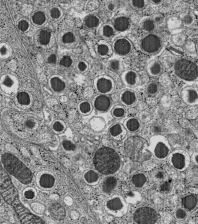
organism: C57BL Mouse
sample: Pancreatic islet